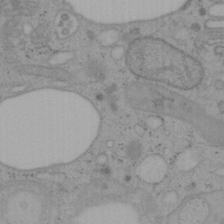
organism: Mouse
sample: OT-I killer T cells with ID8 ovarian cancer cells